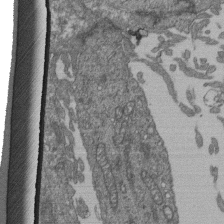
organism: Human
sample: Retinal organoid Rod and Cone cells